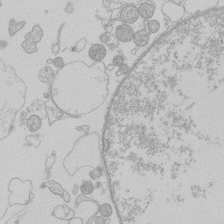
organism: Human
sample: Macrophage cells